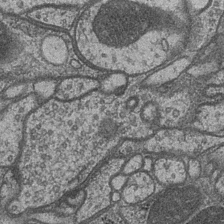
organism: Drosophila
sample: Optic medulla